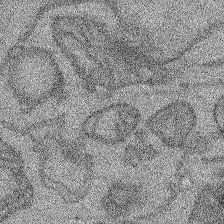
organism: Human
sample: HeLa cells